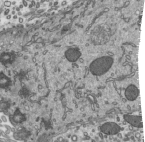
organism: Mouse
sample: Mouse epididymis efferent ductule cilia